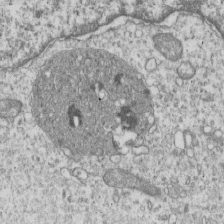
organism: Human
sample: MDA-MB-231 cells